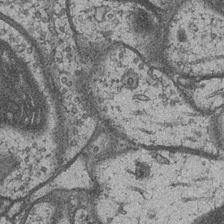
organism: Drosophila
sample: Optic medulla